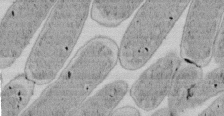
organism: E. coli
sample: Bacterial nucleoid